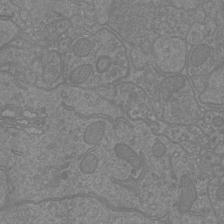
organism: Mouse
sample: Cortical neurons